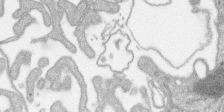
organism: Human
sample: Lung epithelial cells infected with SARS-CoV-2